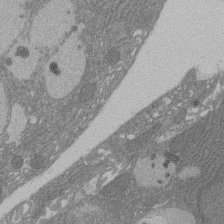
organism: Rat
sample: Salivary granule